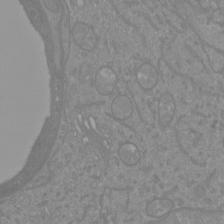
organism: Mouse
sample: Cortical neurons